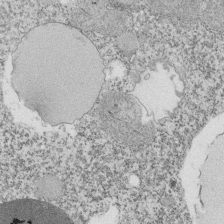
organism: Tetrahymena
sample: Cilia in tetrahymena